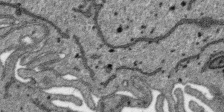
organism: Human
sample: Lung epithelial cells, uninfected (mock) control